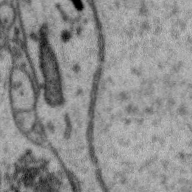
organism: Zebra finch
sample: Brain